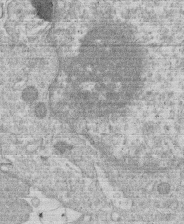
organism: Human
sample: Macrophage cells